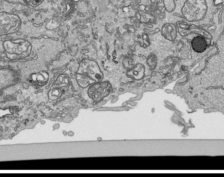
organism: Human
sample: Mitochondria in HCT116 cells